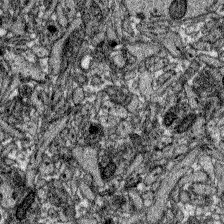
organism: Zebrafish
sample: Larval olfactory bulb